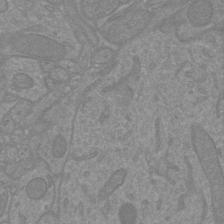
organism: Mouse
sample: Cortical neurons